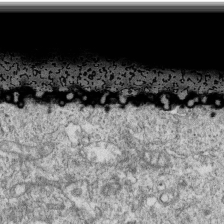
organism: Human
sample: HeLa cell HIV synapse